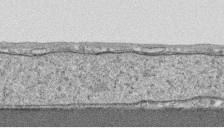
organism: Human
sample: CRL-1474